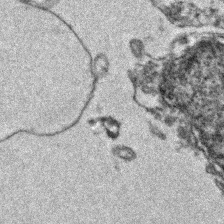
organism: Zebrafish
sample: Zebrafish embryo